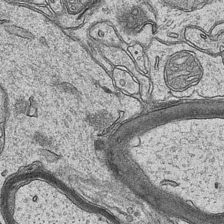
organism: Mouse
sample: CA1 Hippocampus